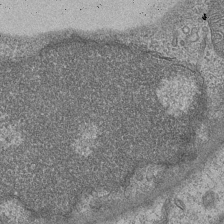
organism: Mouse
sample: CA1 Hippocampus